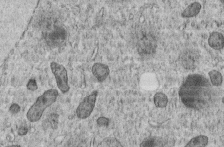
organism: C. elegans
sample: C. elegans embryo early stage